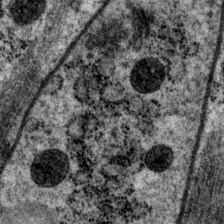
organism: P. pacificus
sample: Pharynx